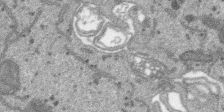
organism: Human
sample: Lung epithelial cells infected with SARS-CoV-2